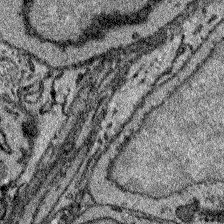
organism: Zebrafish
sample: Larval olfactory bulb